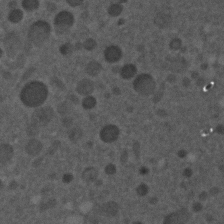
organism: C. elegans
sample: C. elegans embryo